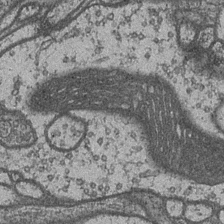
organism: Drosophila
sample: Optic medulla